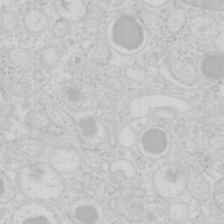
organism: Mouse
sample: Pancreas